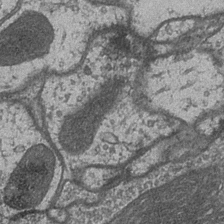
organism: Drosophila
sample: Optic medulla